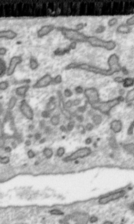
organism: Toxoplasma gondii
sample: Parasites in a vacuole inside a host cell